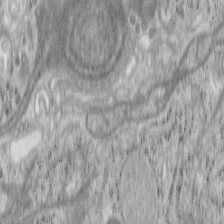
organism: Human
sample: HeLa cells